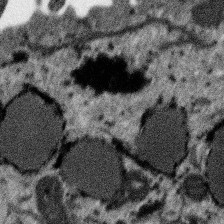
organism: Human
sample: Lung epithelial cells infected with SARS-CoV-2